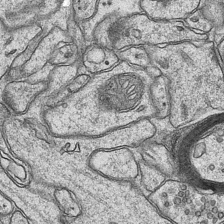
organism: Mouse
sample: CA1 Hippocampus